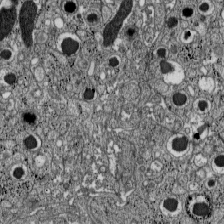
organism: C57BL Mouse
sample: Pancreatic islet